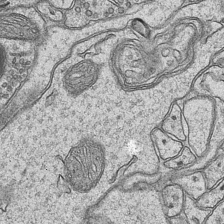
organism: Mouse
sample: CA1 Hippocampus